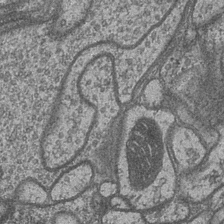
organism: Drosophila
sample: Optic medulla